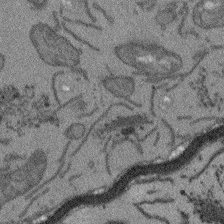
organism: Arabidopsis thaliana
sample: Root tip